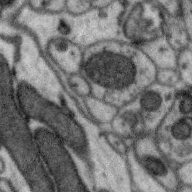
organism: Zebra finch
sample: Brain